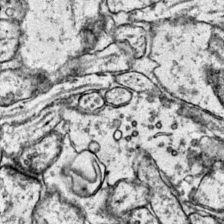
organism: Mouse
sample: Primary visual cortex